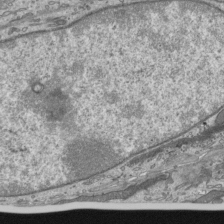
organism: Mouse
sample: Mouse epididymis efferent ductule cilia